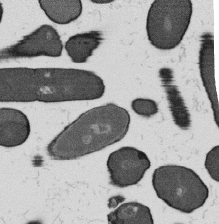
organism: B. subtilis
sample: Bacterial spore